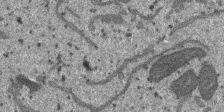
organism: Human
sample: Lung epithelial cells infected with SARS-CoV-2